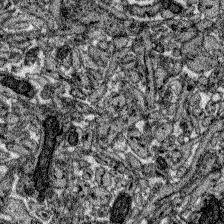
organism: Zebrafish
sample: Larval olfactory bulb